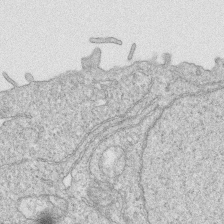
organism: Human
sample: HeLa cell HIV synapse